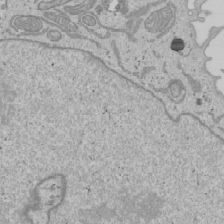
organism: Human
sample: Mitochondria in U2OS cells